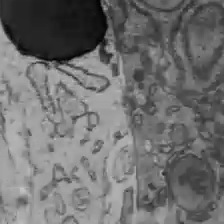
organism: C57BL Mouse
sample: Liver